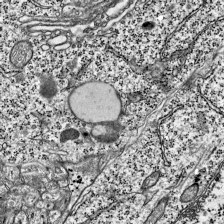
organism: Mouse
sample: Visual Cortex